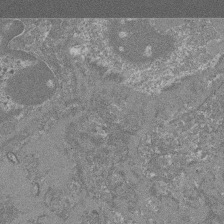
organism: Mouse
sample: Glomerulus